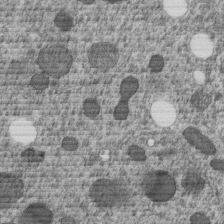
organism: C. elegans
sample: C. elegans embryo early stage